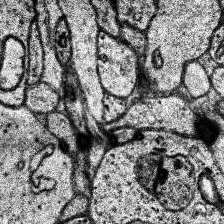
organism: Human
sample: Temporal Lobe